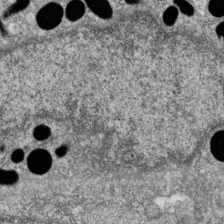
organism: Zebrafish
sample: Cilia; retinal pigment epithelium